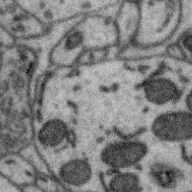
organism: Zebra finch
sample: Brain